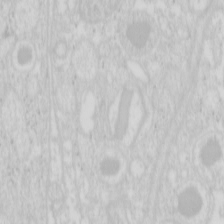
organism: Mouse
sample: Pancreas